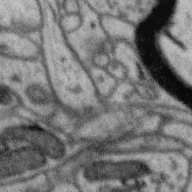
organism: Zebra finch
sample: Brain